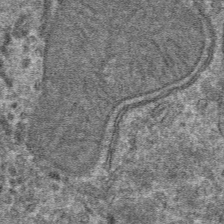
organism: Mouse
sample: Mouse hepatocytes